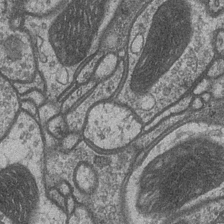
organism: Drosophila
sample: Optic medulla